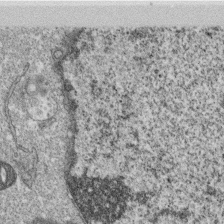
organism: African green monkey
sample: Vero E6 cells infected with SARS-CoV-2